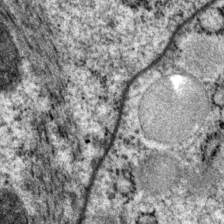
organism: P. pacificus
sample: Pharynx